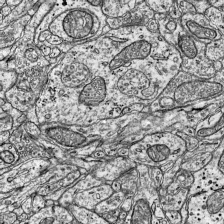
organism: Mouse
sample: Visual Cortex